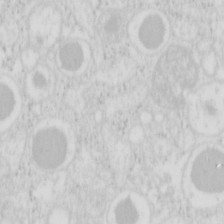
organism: Mouse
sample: Pancreas